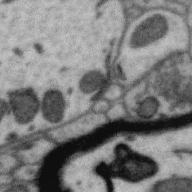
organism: Zebra finch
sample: Brain